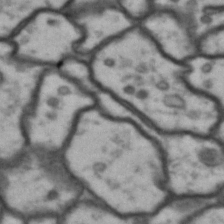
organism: Drosophila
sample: Brain